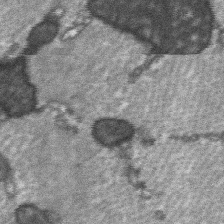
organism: C57BL Mouse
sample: Soleus